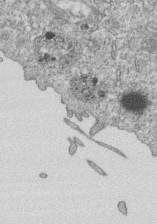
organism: Human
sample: HeLa cell HIV synapse